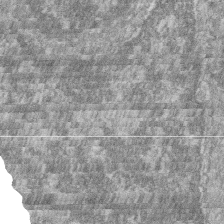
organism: Zebrafish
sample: Cilia; retinal pigment epithelium